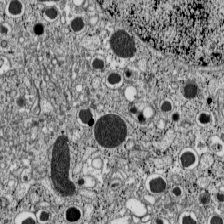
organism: C57BL Mouse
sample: Pancreatic islet